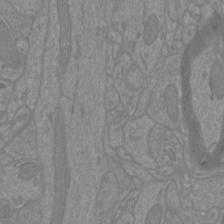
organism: Mouse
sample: Cortical neurons